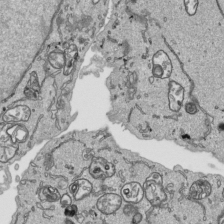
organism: Human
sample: Mitochondria in HCT116 cells